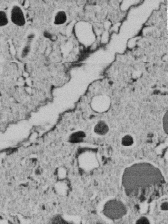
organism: C. elegans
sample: C. elegans embryo early stage